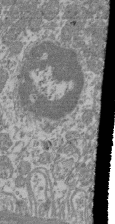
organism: Mouse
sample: Glomerulus